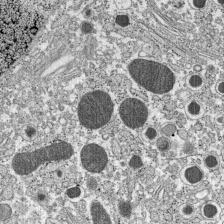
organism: C57BL Mouse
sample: Pancreatic islet